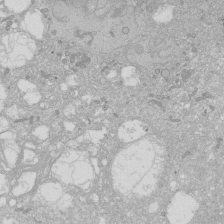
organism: Human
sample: Caco-2 cells